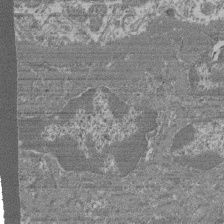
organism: Mouse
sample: Glomerulus